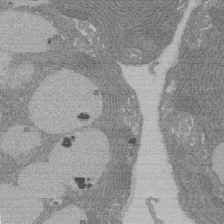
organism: Rat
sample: Salivary granule